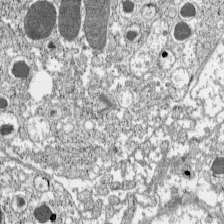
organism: C57BL Mouse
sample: Pancreatic islet